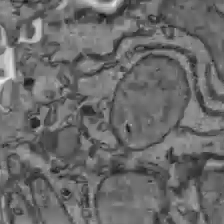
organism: C57BL Mouse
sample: Liver